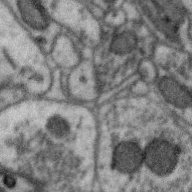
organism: Zebra finch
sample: Brain